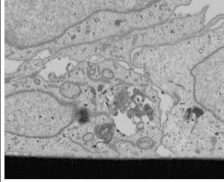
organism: Human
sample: Mitochondria in U2OS cells